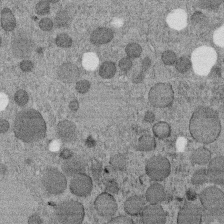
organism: C. elegans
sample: C. elegans embryo early stage